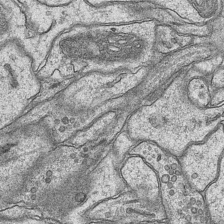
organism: Mouse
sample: CA1 Hippocampus